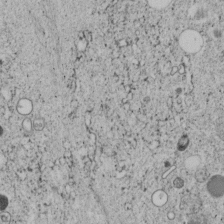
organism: C. elegans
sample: C. elegans embryo early stage